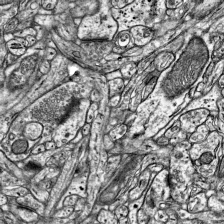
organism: Mouse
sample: Visual Cortex